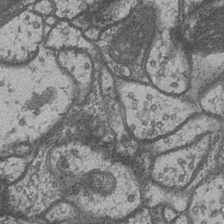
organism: Drosophila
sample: Optic medulla